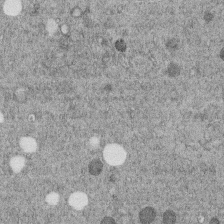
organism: C. elegans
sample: C. elegans embryo early stage